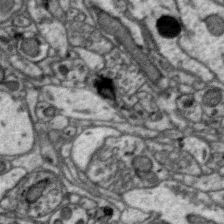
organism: Zebra finch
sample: Brain